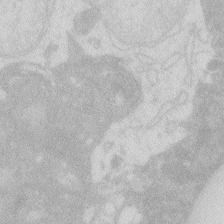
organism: Zebrafish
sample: Macrophage